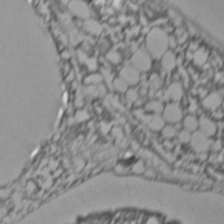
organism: C. elegans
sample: C. elegans embryo